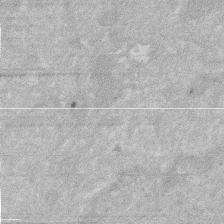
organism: Human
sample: HIV infected U937 cells